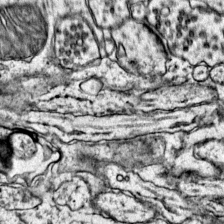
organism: Mouse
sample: Primary visual cortex